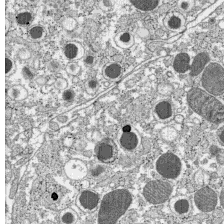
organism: C57BL Mouse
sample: Pancreatic islet